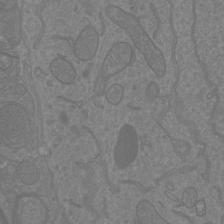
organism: Mouse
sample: Cortical neurons